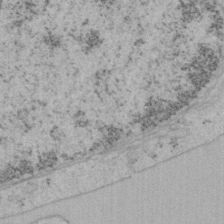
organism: Human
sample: HeLa cells